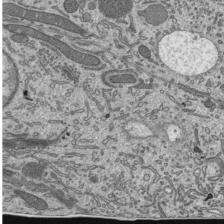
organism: Mouse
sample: Mouse epididymis efferent ductule cilia